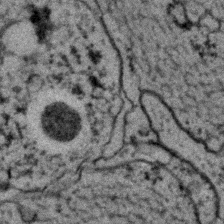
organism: C. elegans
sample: C. elegans embryo